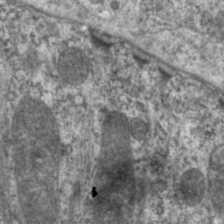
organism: C. elegans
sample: Pharynx